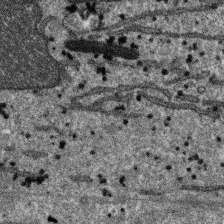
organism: Human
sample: Lung epithelial cells infected with SARS-CoV-2